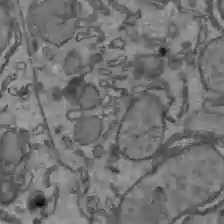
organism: C57BL Mouse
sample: Liver